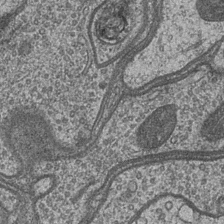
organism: Drosophila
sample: Optic medulla